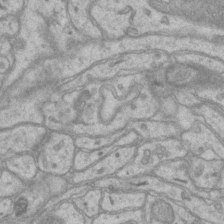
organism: Mouse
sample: CA1 Hippocampus